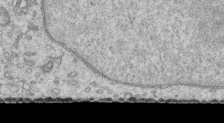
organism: Human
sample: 1205lu cells